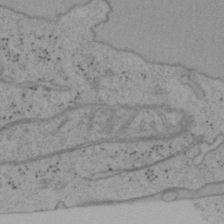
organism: Human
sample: HeLa cells